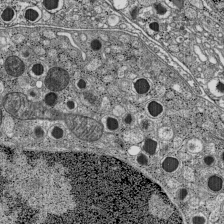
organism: C57BL Mouse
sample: Pancreatic islet